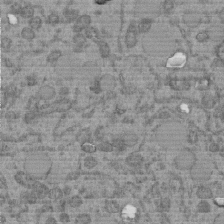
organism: C. elegans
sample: C. elegans embryo early stage